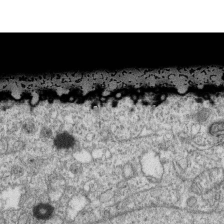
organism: Human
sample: HeLa cell HIV synapse